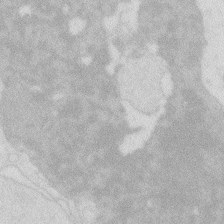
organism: Zebrafish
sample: Macrophage